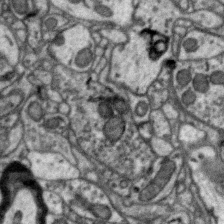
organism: Zebra finch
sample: Brain